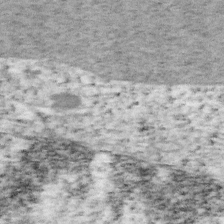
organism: Mouse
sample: OT-I killer T cells with ID8 ovarian cancer cells